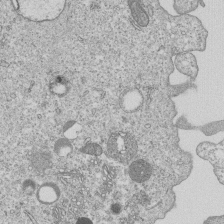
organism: Human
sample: MDA-MB-231 cells